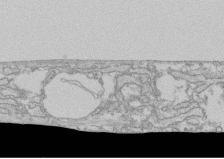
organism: Human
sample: CRL-1474